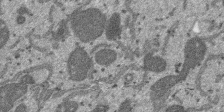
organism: Human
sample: Lung epithelial cells infected with SARS-CoV-2